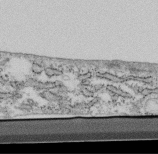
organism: Mouse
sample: Cilia; retinal pigment epithelium